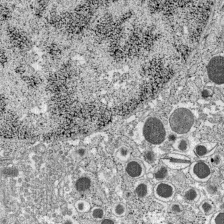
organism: C57BL Mouse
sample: Pancreatic islet